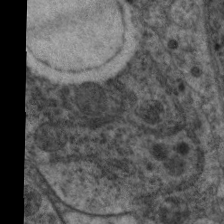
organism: C. elegans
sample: Pharynx